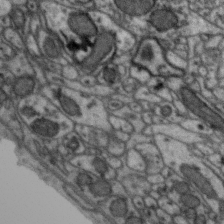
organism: Zebra finch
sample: Brain